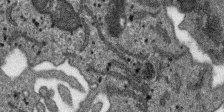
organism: Human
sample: Lung epithelial cells infected with SARS-CoV-2